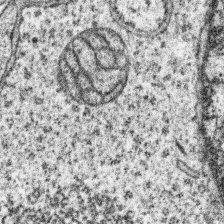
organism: Human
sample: HeLa cells